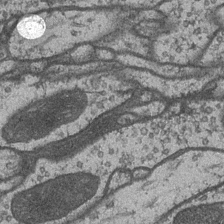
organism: Drosophila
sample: Optic medulla